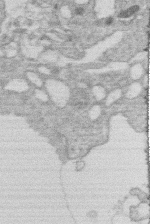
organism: Human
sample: Macrophage cells